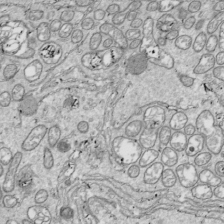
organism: Drosophila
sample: Cell division; meiosis; drosophila spermatocytes